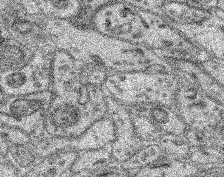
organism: Mouse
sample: Retina